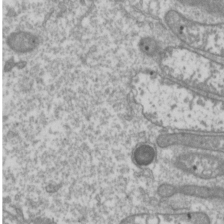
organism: Drosophila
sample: Cell division; meiosis; drosophila spermatocytes